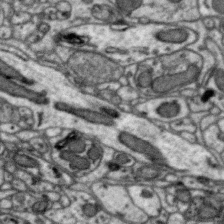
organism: Zebra finch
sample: Brain